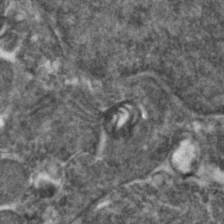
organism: Zebrafish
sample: Zebrafish embryo